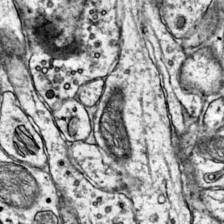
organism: Mouse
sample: Primary visual cortex